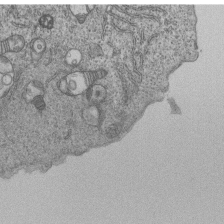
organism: Human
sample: MDA-MB-231 cells